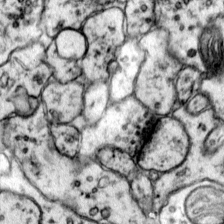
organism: Mouse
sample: Primary visual cortex